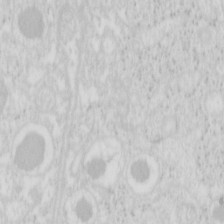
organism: Mouse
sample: Pancreas